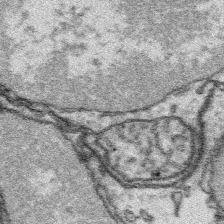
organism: Platynereis dumerilii